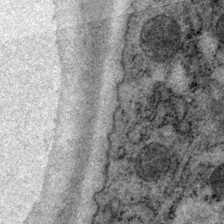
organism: P. pacificus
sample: Pharynx